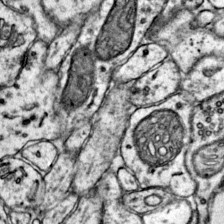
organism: Mouse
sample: Primary visual cortex